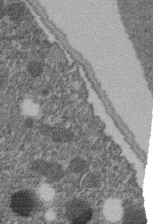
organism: C. elegans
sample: C. elegans embryo early stage